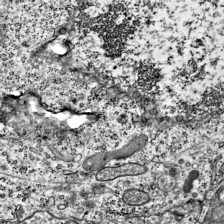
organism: Mouse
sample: Visual Cortex